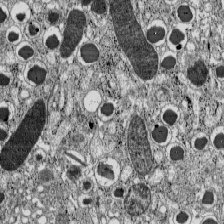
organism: C57BL Mouse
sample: Pancreatic islet